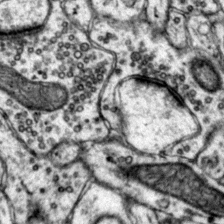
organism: Mouse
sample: Primary visual cortex